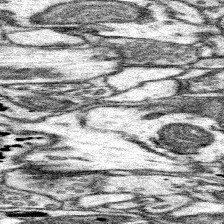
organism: Mouse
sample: Somatosensory cortex neuropil